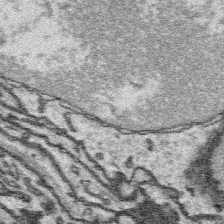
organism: Platynereis dumerilii